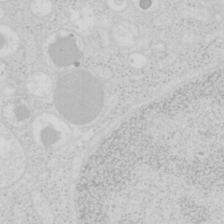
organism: Mouse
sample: Pancreas